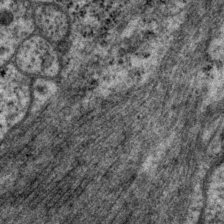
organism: P. pacificus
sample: Pharynx